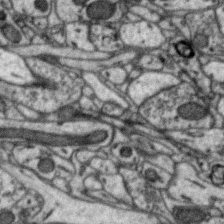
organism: Zebra finch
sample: Brain